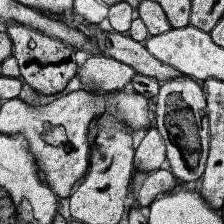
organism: Human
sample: Temporal Lobe